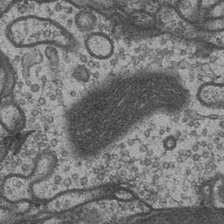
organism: Drosophila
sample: Optic medulla